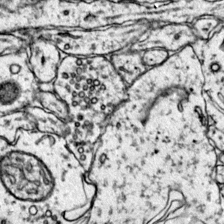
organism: Mouse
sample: Primary visual cortex